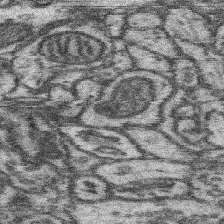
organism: Mouse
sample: Somatosensory cortex neuropil